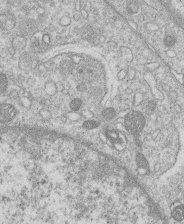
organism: Human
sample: Macrophage cells